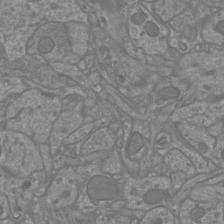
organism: Mouse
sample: Cortical neurons